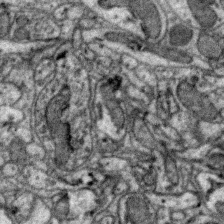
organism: Zebra finch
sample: Brain